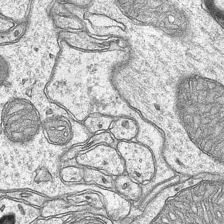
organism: Mouse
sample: CA1 Hippocampus